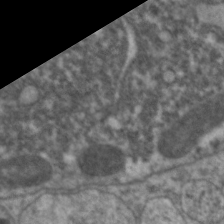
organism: C. elegans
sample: Pharynx